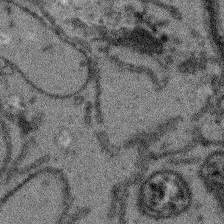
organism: Arabidopsis thaliana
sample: Root tip